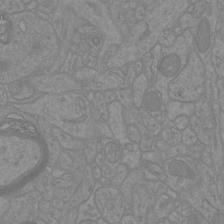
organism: Mouse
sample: Cortical neurons